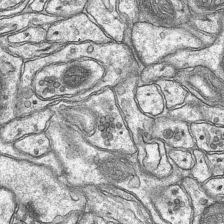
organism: Mouse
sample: CA1 Hippocampus